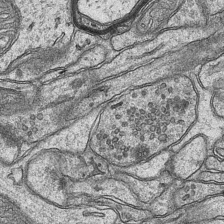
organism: Mouse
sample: CA1 Hippocampus